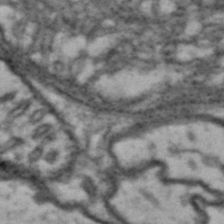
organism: Drosophila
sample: Brain